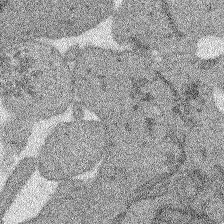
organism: Human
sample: HeLa cells